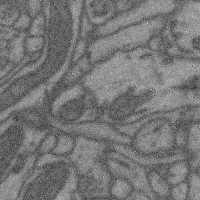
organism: Mouse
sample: Cerebral cortex